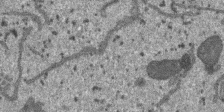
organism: Human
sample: Lung epithelial cells infected with SARS-CoV-2